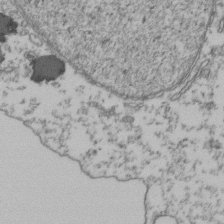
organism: Human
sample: Activated Jurkat CD4+ T cells